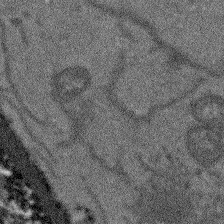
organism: Arabidopsis thaliana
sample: Root tip